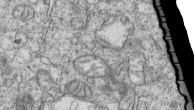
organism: Human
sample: HeLa cell HIV synapse